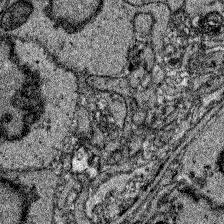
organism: Zebrafish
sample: Larval olfactory bulb